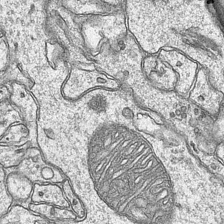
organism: Mouse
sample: CA1 Hippocampus